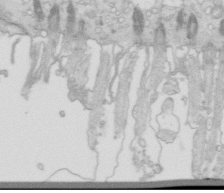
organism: Mouse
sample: Multiciliated cells